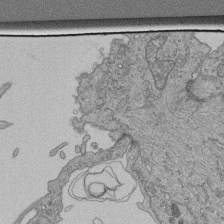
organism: Human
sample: Retinal organoid Rod and Cone cells